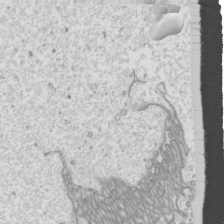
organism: Mouse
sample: Cilia; mouse epididymis